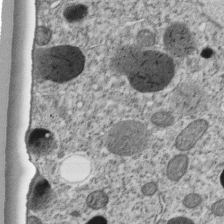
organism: C. elegans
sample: C. elegans embryo early stage